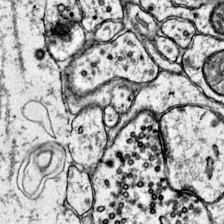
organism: Mouse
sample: Primary visual cortex